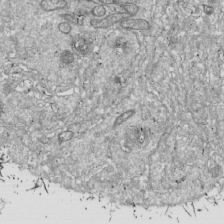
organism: Drosophila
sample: Cell division; meiosis; drosophila spermatocytes